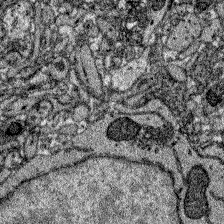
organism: Zebrafish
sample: Larval olfactory bulb